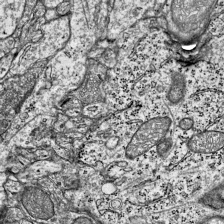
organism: Mouse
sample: Visual Cortex